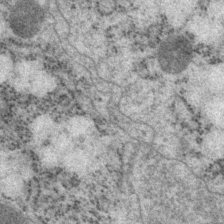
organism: P. pacificus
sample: Pharynx